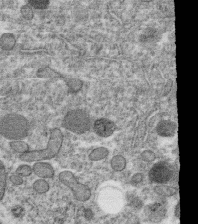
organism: C. elegans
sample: C. elegans oocyte; sperm cells